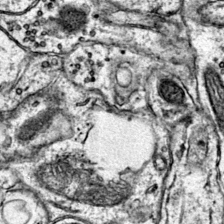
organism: Mouse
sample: Primary visual cortex